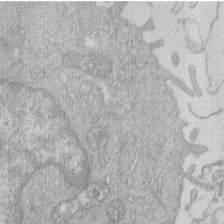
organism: Human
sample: Macrophage cells